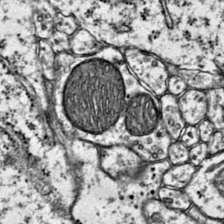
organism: Mouse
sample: Primary visual cortex